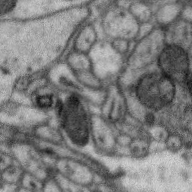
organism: Zebra finch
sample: Brain